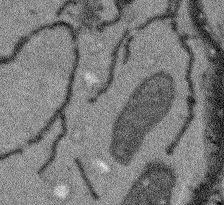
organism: Arabidopsis thaliana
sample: Root tip